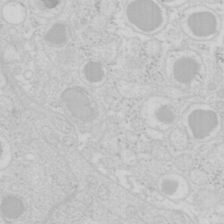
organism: Mouse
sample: Pancreas